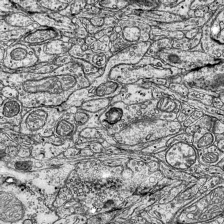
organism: Mouse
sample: Visual Cortex